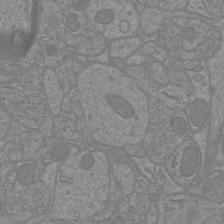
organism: Mouse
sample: Cortical neurons